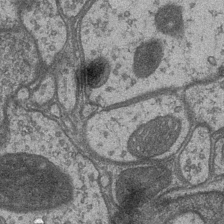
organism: Drosophila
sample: Optic medulla